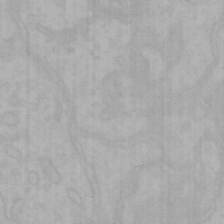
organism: Mouse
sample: Choroid plexus